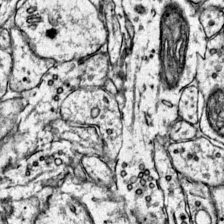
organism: Mouse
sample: Primary visual cortex